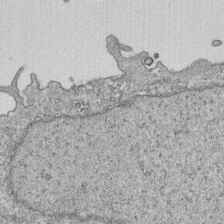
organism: Human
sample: HeLa cell HIV synapse